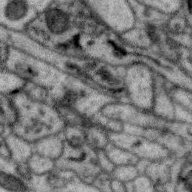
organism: Zebra finch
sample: Brain